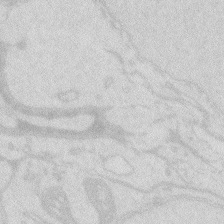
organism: Zebrafish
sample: Macrophage